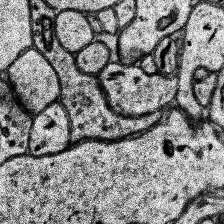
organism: Human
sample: Temporal Lobe